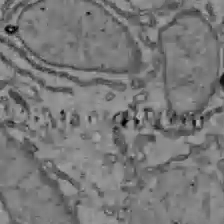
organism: C57BL Mouse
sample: Liver